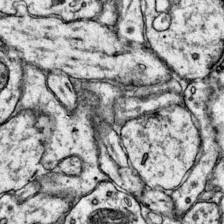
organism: Mouse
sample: Primary visual cortex